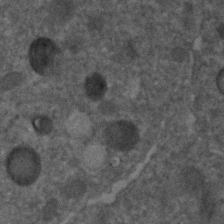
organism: C. elegans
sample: C. elegans embryo